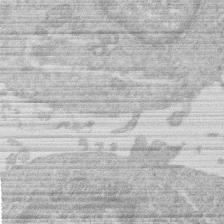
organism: Human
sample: Macrophage cells